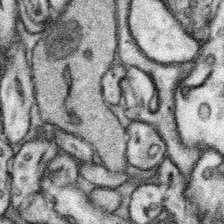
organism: Mouse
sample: Somatosensory cortex neuropil